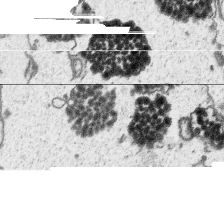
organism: Platynereis dumerilii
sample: Parapodia